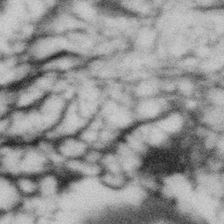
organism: Gemmata obscuriglobus